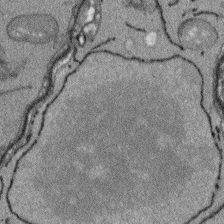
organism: Arabidopsis thaliana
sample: Root tip